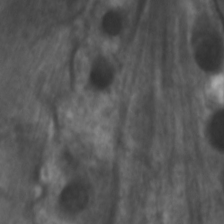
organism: C. elegans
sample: Pharynx